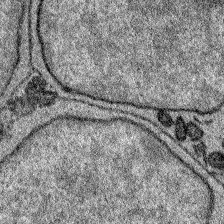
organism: Zebrafish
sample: Larval olfactory bulb